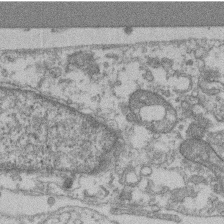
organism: Mouse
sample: T cell stromal cell synapse